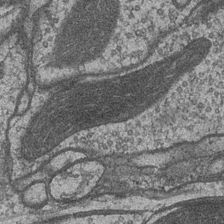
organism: Drosophila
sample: Optic medulla